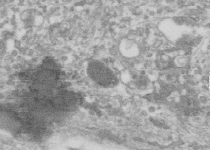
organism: Human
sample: Centriole in RPE cells